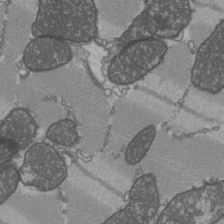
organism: C57BL Mouse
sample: Heart